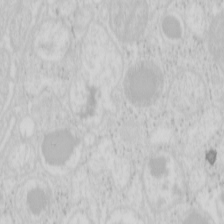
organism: Mouse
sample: Pancreas